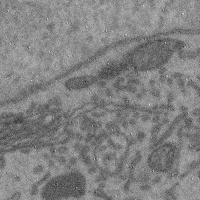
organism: Mouse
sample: Cerebral cortex